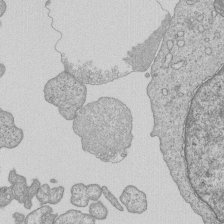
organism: Human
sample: MDA-MB-231 cells